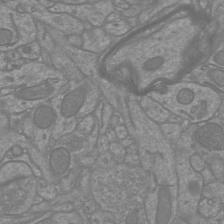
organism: Mouse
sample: Cortical neurons